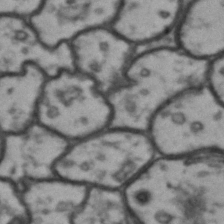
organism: Drosophila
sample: Brain